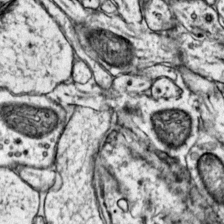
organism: Mouse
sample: Primary visual cortex